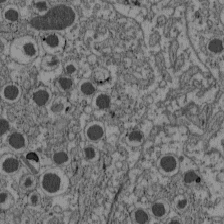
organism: C57BL Mouse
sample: Pancreatic islet